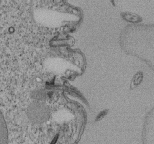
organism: Tetrahymena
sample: Cilia in tetrahymena